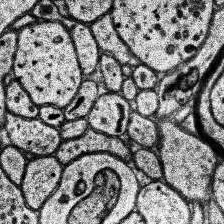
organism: Human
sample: Temporal Lobe